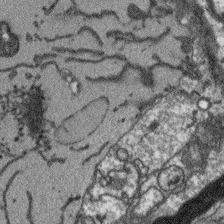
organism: Arabidopsis thaliana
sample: Root tip